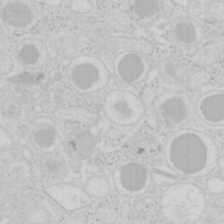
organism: Mouse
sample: Pancreas